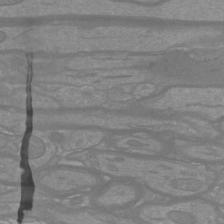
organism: Mouse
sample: Cortical neurons